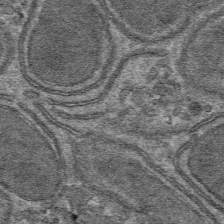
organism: Mouse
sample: Mouse hepatocytes